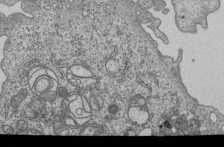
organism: Human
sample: MDA-MB-231 cells